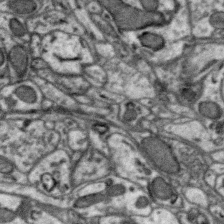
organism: Zebra finch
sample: Brain